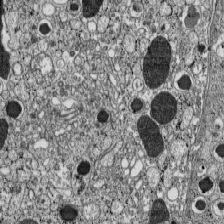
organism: C57BL Mouse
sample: Pancreatic islet